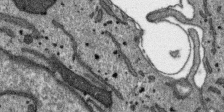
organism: Human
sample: Lung epithelial cells, uninfected (mock) control